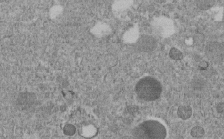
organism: C. elegans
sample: C. elegans embryo early stage